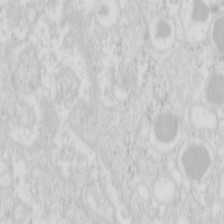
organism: Mouse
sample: Pancreas